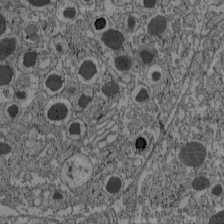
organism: C57BL Mouse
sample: Pancreatic islet